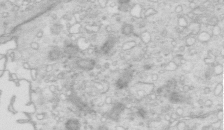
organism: Mouse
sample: Multiciliated cells